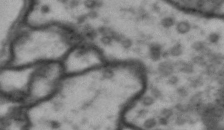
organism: Drosophila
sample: Brain